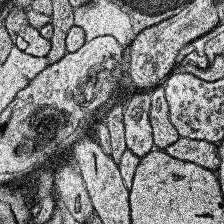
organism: Human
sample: Temporal Lobe